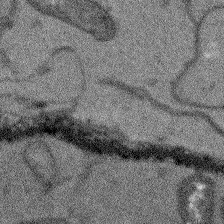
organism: Arabidopsis thaliana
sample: Root tip